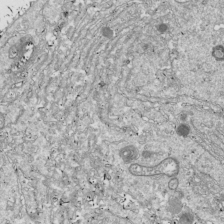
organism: Drosophila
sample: Cell division; meiosis; drosophila spermatocytes